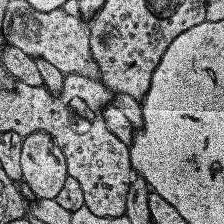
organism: Human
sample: Temporal Lobe